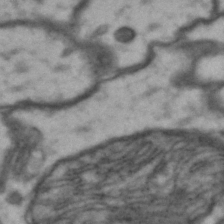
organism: Drosophila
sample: Brain